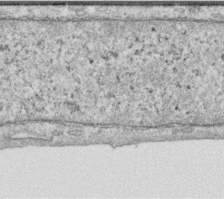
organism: Human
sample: Centriole in RPE cells